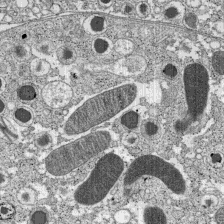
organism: C57BL Mouse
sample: Pancreatic islet